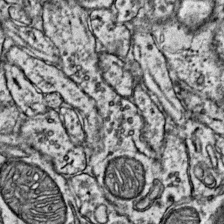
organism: Mouse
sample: Primary visual cortex